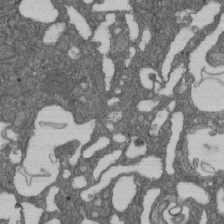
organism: Drosophila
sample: Nephrocyte